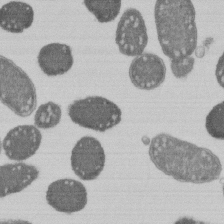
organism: E. coli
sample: Bacterial nucleoid